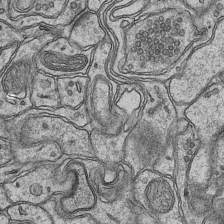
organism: Mouse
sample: CA1 Hippocampus